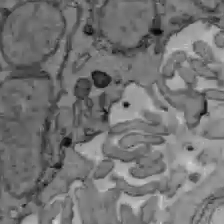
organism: C57BL Mouse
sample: Liver